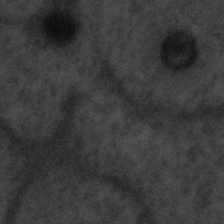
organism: Tuwongella immobilis